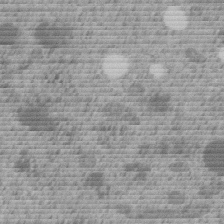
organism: C. elegans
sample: C. elegans embryo early stage